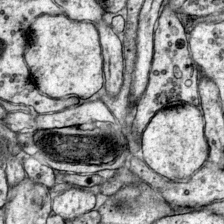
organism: Mouse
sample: Primary visual cortex